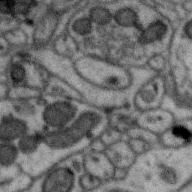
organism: Zebra finch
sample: Brain